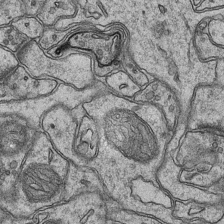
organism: Mouse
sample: CA1 Hippocampus